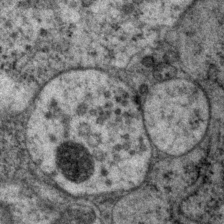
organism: P. pacificus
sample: Pharynx